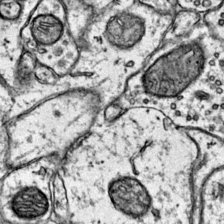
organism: Mouse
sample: Primary visual cortex